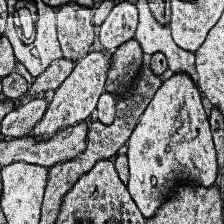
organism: Human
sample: Temporal Lobe